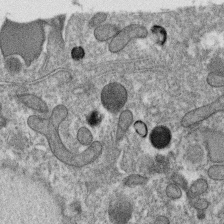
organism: C. elegans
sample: C. elegans oocyte; sperm cells